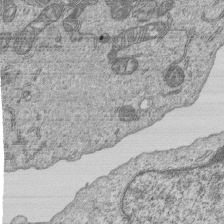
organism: Human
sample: MDA-MB-231 cells